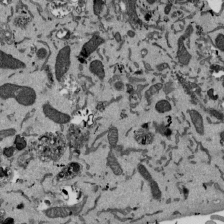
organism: Mouse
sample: ED-1 cell nuclei; centrioles